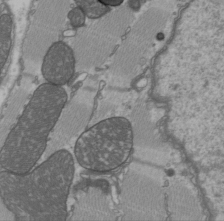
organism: C57BL Mouse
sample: Heart